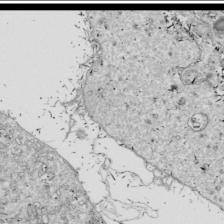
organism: Drosophila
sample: Cell division; meiosis; drosophila spermatocytes